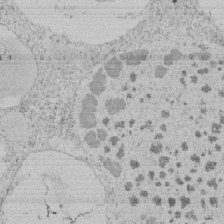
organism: Tetrahymena